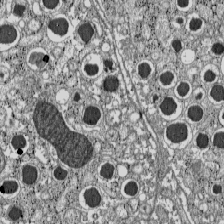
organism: C57BL Mouse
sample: Pancreatic islet